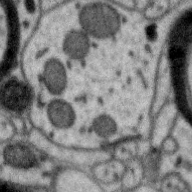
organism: Zebra finch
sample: Brain